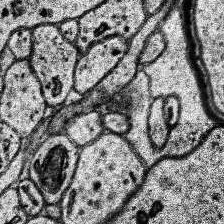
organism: Human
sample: Temporal Lobe